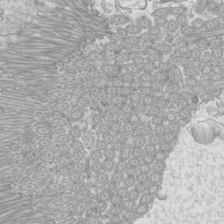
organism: Mouse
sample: Cilia; mouse epididymis